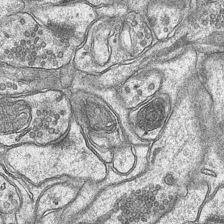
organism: Mouse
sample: CA1 Hippocampus